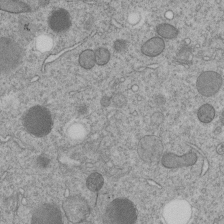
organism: C. elegans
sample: C. elegans embryo early stage